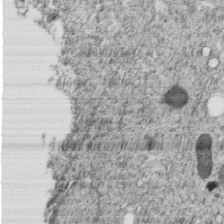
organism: C. elegans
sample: C. elegans embryo early stage